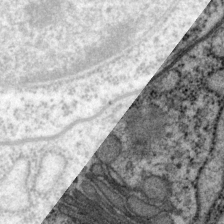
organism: P. pacificus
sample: Pharynx